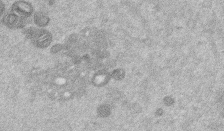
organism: Mouse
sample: Dividing mouse embryo 1 cell stage